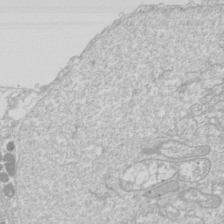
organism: Drosophila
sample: Cell division; meiosis; drosophila spermatocytes